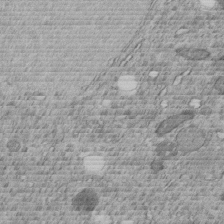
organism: C. elegans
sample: C. elegans embryo early stage